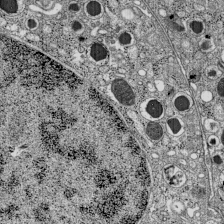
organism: C57BL Mouse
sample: Pancreatic islet